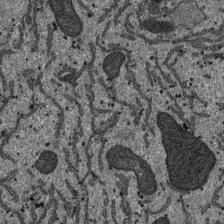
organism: Human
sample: Lung epithelial cells infected with SARS-CoV-2